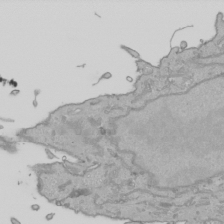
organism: Human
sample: Mitochondria in HCT116 cells